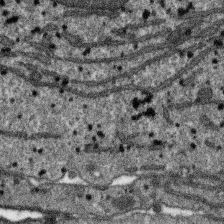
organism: Human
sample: Lung epithelial cells infected with SARS-CoV-2